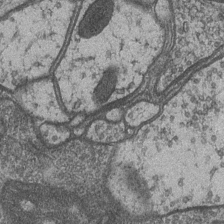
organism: Drosophila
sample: Optic medulla